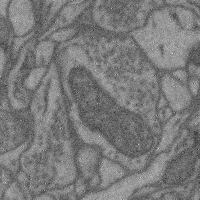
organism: Mouse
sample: Cerebral cortex